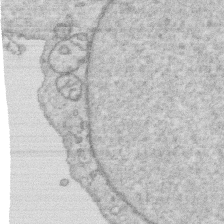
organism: Human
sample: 1205lu cells